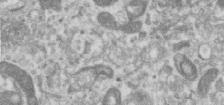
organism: Human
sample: Centriole in RPE cells